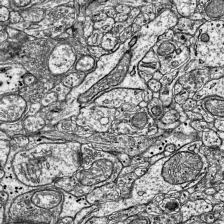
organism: Mouse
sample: Visual Cortex